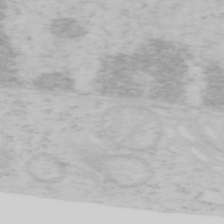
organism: Mouse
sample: OT-I killer T cells with ID8 ovarian cancer cells